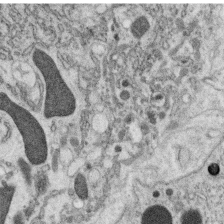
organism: C. elegans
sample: C. elegans oocyte; sperm cells